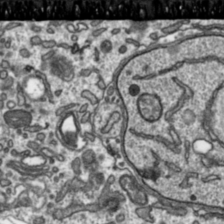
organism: Toxoplasma gondii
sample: Parasites in a vacuole inside a host cell